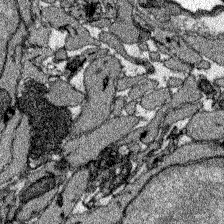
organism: Zebrafish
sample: Larval olfactory bulb